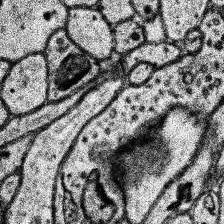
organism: Human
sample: Temporal Lobe